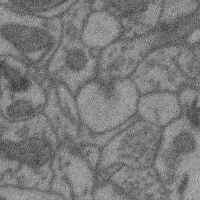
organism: Mouse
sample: Cerebral cortex